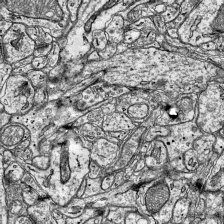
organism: Mouse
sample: Visual Cortex